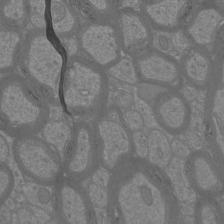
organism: Mouse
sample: Cortical neurons